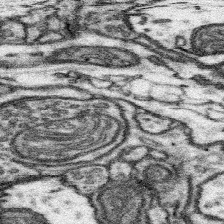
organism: Mouse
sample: Somatosensory cortex neuropil